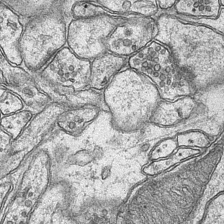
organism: Mouse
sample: CA1 Hippocampus